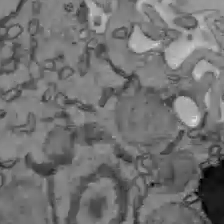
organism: C57BL Mouse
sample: Liver